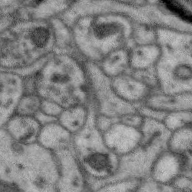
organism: Zebra finch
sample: Brain